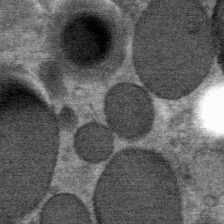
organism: Mouse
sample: Mouse Salivary gland